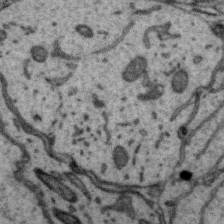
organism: Zebra finch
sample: Brain